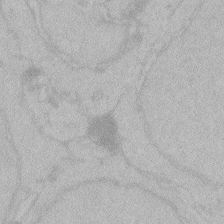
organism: Zebrafish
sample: Macrophage infected with Toxoplasma gondii